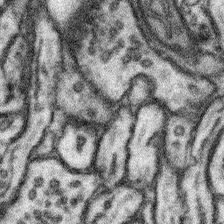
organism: Mouse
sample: Somatosensory cortex neuropil